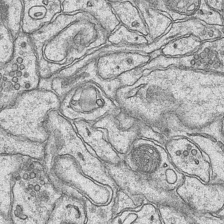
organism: Mouse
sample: CA1 Hippocampus